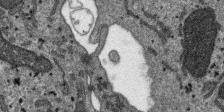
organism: Human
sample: Lung epithelial cells infected with SARS-CoV-2